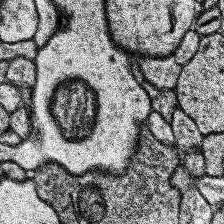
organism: Human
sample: Temporal Lobe